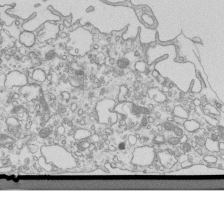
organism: Mouse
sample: Macrophages